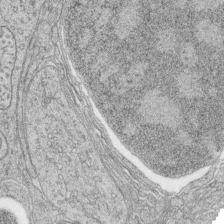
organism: Zebrafish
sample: synaptic ribbons in rod cells and cone cells